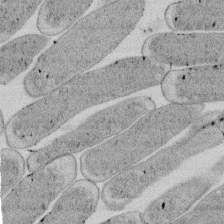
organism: E. coli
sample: Bacterial nucleoid